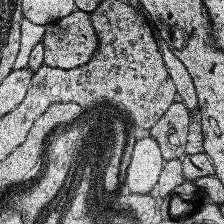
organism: Human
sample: Temporal Lobe